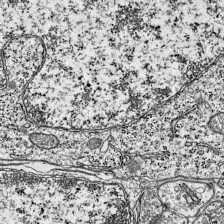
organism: Mouse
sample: Visual Cortex